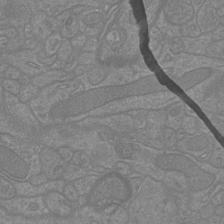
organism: Mouse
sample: Cortical neurons